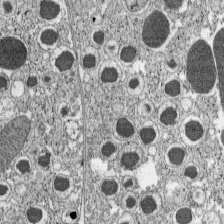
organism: C57BL Mouse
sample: Pancreatic islet